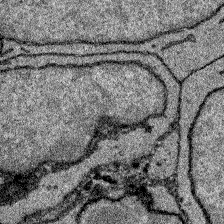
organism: Zebrafish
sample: Larval olfactory bulb